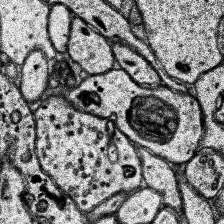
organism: Human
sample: Temporal Lobe